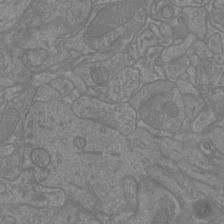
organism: Mouse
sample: Cortical neurons